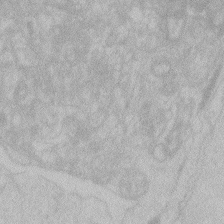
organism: Zebrafish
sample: Macrophage infected with Toxoplasma gondii